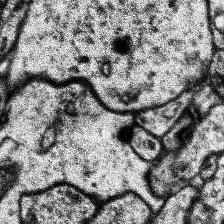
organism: Human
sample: Temporal Lobe